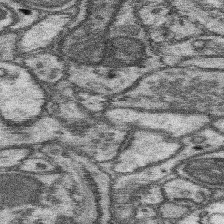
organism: Mouse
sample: Somatosensory cortex neuropil